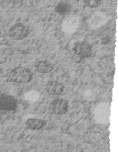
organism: C. elegans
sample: C. elegans embryo early stage